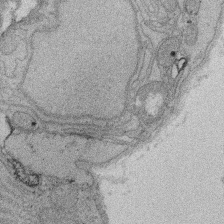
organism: Rat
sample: Salivary granule